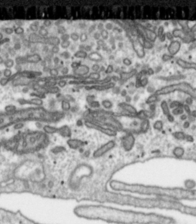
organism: Toxoplasma gondii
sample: Parasites in a vacuole inside a host cell